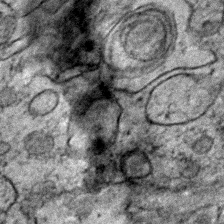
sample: Trachea